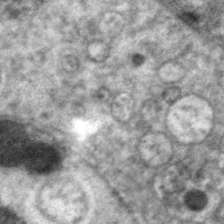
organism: C. elegans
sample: Pharynx